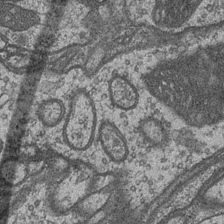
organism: Drosophila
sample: Optic medulla